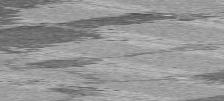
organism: C57BL Mouse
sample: Heart